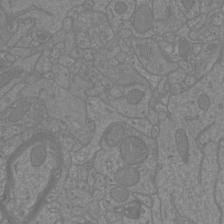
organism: Mouse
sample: Cortical neurons